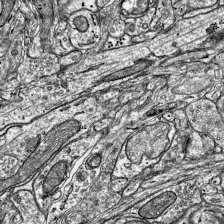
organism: Mouse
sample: Visual Cortex